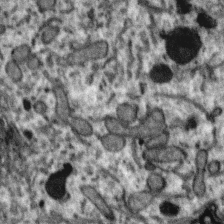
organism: Zebra finch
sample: Brain